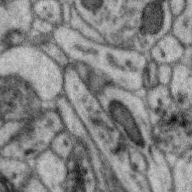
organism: Zebra finch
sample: Brain